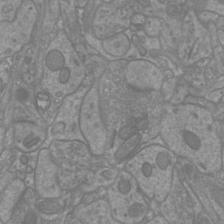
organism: Mouse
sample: Cortical neurons